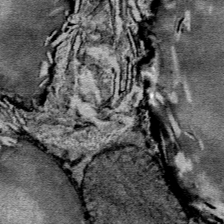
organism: Mouse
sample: Mouse Salivary gland